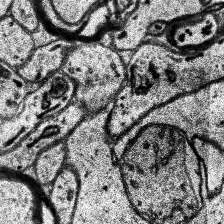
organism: Human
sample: Temporal Lobe